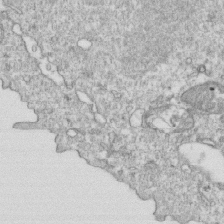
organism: Mouse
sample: Activated OT-1 CD8+ T cells